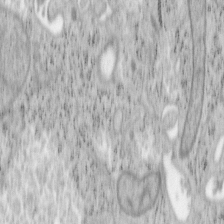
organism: Human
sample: HeLa cells